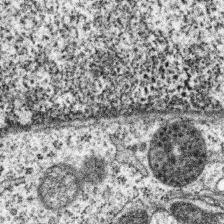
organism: Human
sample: HeLa cells